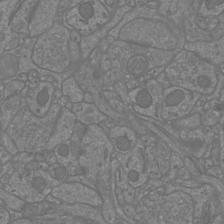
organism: Mouse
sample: Cortical neurons